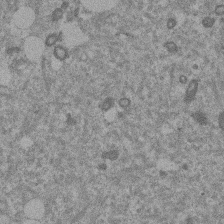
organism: Mouse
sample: Dividing mouse embryo 1 cell stage